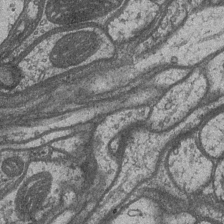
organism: Drosophila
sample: Optic medulla